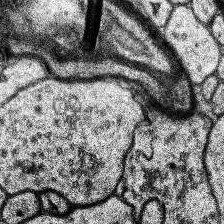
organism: Human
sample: Temporal Lobe